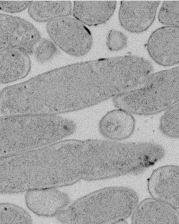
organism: E. coli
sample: Bacterial nucleoid